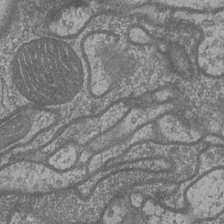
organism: Drosophila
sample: Optic medulla